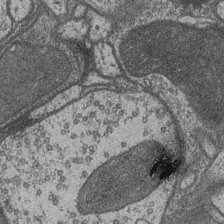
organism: Drosophila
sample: Optic medulla